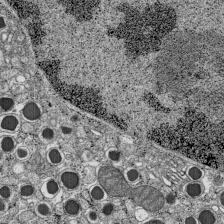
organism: C57BL Mouse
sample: Pancreatic islet